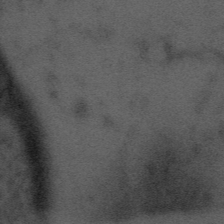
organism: Tuwongella immobilis